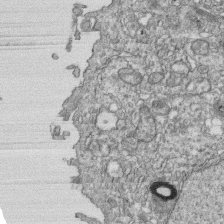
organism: Human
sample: HeLa cell HIV synapse